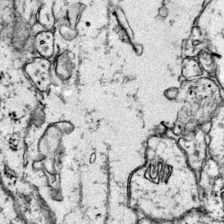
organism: Mouse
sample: Primary visual cortex